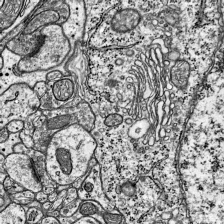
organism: Mouse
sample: Visual Cortex